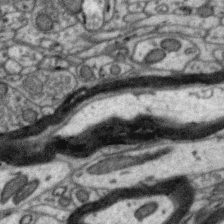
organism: Zebra finch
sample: Brain